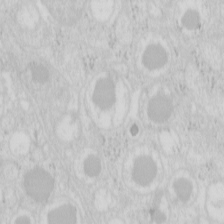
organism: Mouse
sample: Pancreas